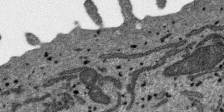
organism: Human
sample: Lung epithelial cells, uninfected (mock) control